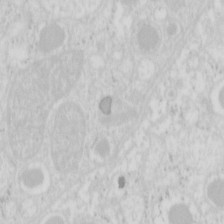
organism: Mouse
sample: Pancreas